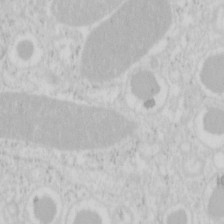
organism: Mouse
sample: Pancreas